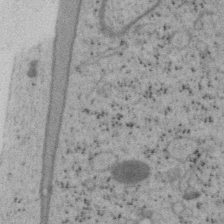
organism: Human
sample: HeLa cells